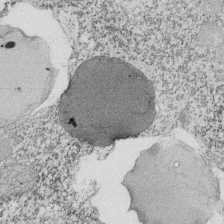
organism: Tetrahymena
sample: Cilia in tetrahymena